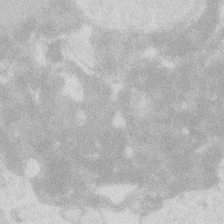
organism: Zebrafish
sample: Macrophage